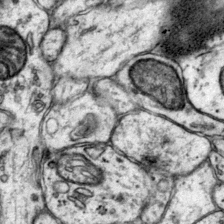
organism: Mouse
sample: Primary visual cortex